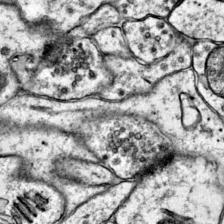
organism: Mouse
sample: Primary visual cortex